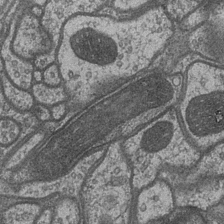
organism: Drosophila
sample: Optic medulla